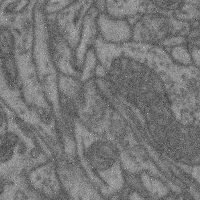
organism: Mouse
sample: Cerebral cortex